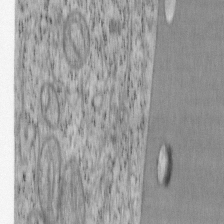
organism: Human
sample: HeLa cells